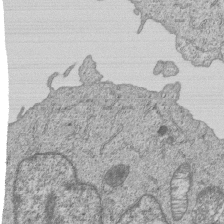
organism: Human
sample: MDA-MB-231 cells